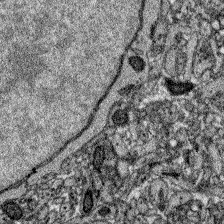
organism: Zebrafish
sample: Larval olfactory bulb